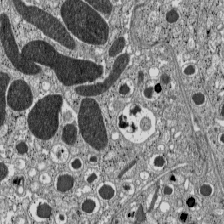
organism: C57BL Mouse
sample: Pancreatic islet